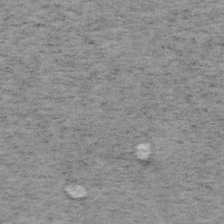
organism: Mouse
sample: OT-I killer T cells with ID8 ovarian cancer cells